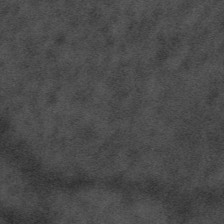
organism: Tuwongella immobilis